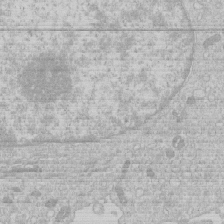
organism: Human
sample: Macrophage cells